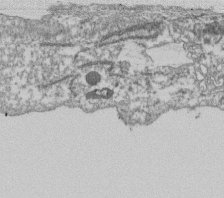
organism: Dictyostelium discoideum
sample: Dictyostelium multivesicular bodies